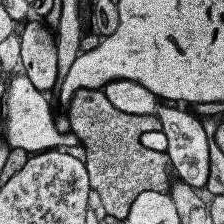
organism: Human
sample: Temporal Lobe